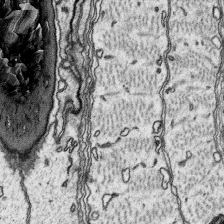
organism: Platynereis dumerilii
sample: Parapodia